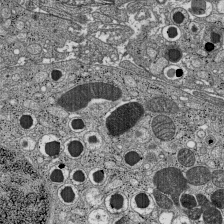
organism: C57BL Mouse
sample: Pancreatic islet